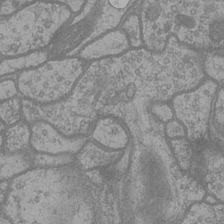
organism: Drosophila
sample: Optic medulla